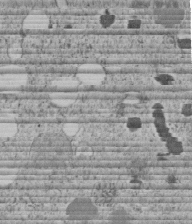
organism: C. elegans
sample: C. elegans embryo early stage